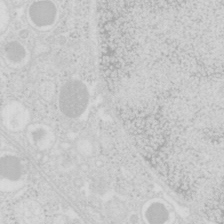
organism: Mouse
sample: Pancreas